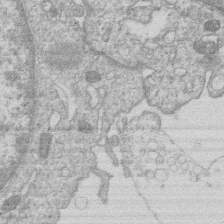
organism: Human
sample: Macrophage cells